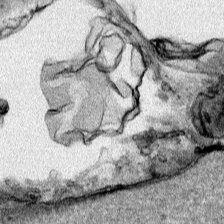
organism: Human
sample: Mitochondria in HCT116 cells